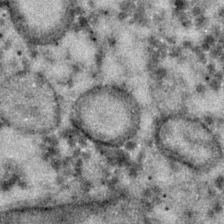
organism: C. elegans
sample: C. elegans embryo